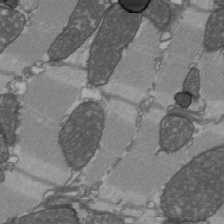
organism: C57BL Mouse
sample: Heart